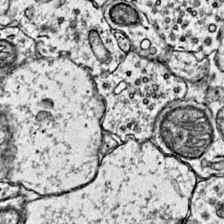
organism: Mouse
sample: Primary visual cortex